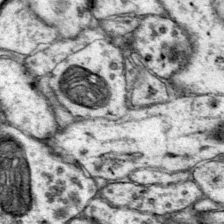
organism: Mouse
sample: Primary visual cortex